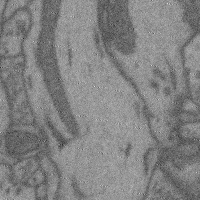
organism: Mouse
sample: Cerebral cortex